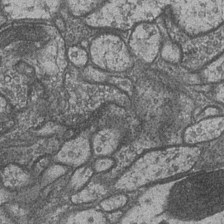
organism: Drosophila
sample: Optic medulla